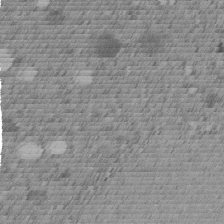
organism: C. elegans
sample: C. elegans embryo early stage